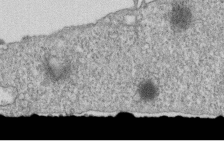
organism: Human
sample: HeLa cell HIV synapse